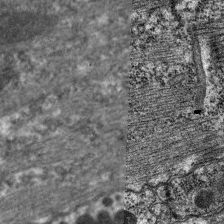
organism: C. elegans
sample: Pharynx